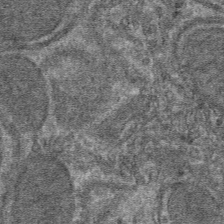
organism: Mouse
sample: Mouse hepatocytes